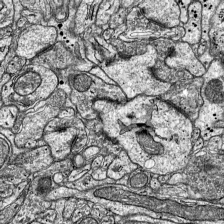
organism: Mouse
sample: Visual Cortex